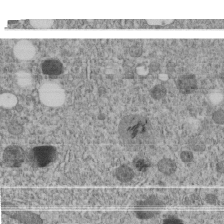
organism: C. elegans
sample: C. elegans embryo early stage